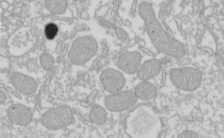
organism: Xenopus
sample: Cilia; centrioles in frog embryo cells